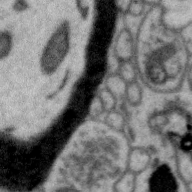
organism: Zebra finch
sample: Brain